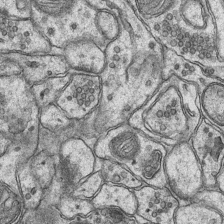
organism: Mouse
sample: CA1 Hippocampus